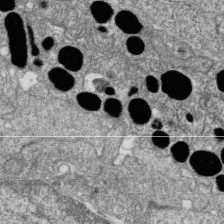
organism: Zebrafish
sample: Cilia; retinal pigment epithelium